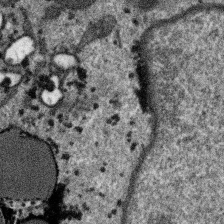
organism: Human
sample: Lung epithelial cells infected with SARS-CoV-2